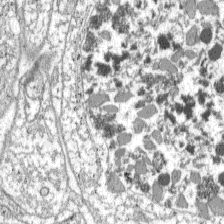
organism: C57BL Mouse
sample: Pancreatic islet